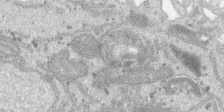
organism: Human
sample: Lung epithelial cells infected with SARS-CoV-2